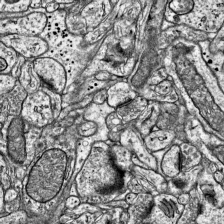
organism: Mouse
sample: Visual Cortex